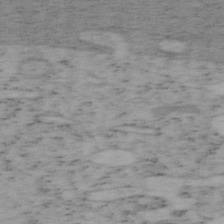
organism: Mouse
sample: OT-I killer T cells with ID8 ovarian cancer cells